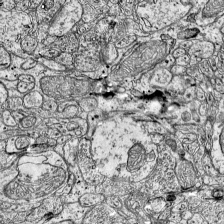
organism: Mouse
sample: Visual Cortex